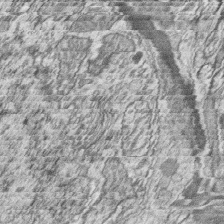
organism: Zebrafish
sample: synaptic ribbons in rod cells and cone cells